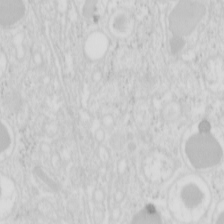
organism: Mouse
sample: Pancreas